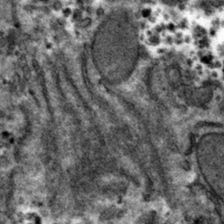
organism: Mouse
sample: Mouse hepatocytes